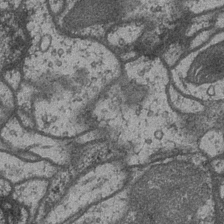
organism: Drosophila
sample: Optic medulla